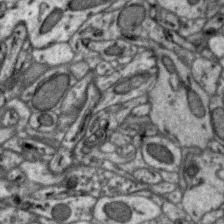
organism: Zebra finch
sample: Brain